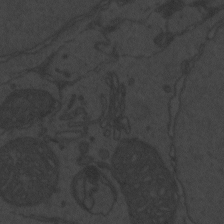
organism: Zebrafish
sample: Macrophage infected with Toxoplasma gondii